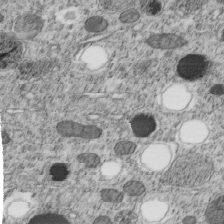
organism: C. elegans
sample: C. elegans embryo early stage